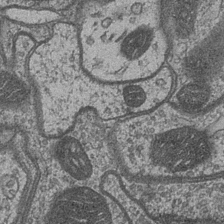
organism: Drosophila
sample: Optic medulla